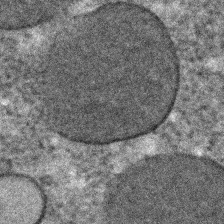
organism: C. elegans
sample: C. elegans embryo